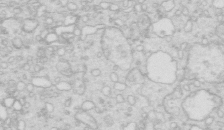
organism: Mouse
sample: Multiciliated cells